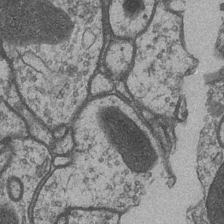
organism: Drosophila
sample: Optic medulla